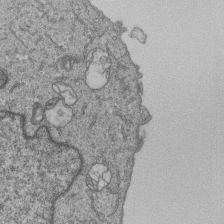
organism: Human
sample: MDA-MB-231 cells